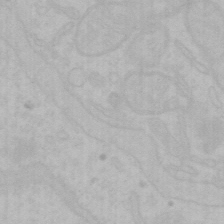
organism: Mouse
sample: Choroid plexus